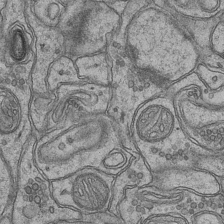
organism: Mouse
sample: CA1 Hippocampus